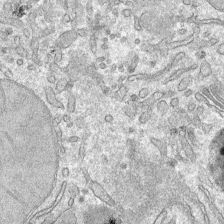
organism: Mouse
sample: Mouse hepatocytes